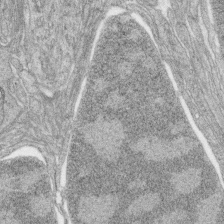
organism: Zebrafish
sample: synaptic ribbons in rod cells and cone cells